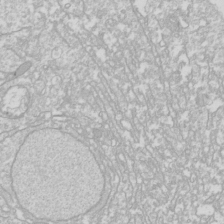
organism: Drosophila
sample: Cell division; meiosis; drosophila spermatocytes